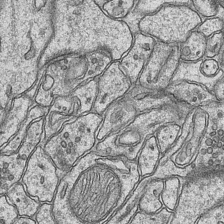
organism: Mouse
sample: CA1 Hippocampus